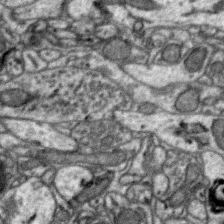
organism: Zebra finch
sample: Brain